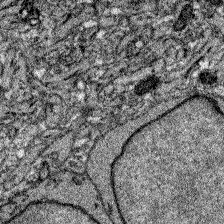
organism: Zebrafish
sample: Larval olfactory bulb